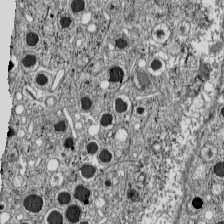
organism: C57BL Mouse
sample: Pancreatic islet